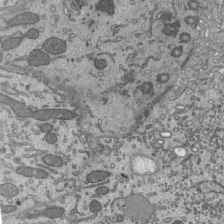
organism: Mouse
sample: Mouse epididymis efferent ductule cilia